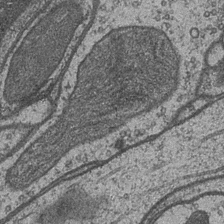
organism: Drosophila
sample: Optic medulla